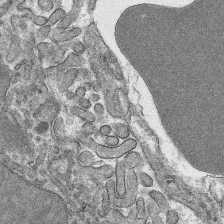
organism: Mouse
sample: Mouse hepatocytes